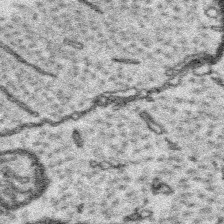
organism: Platynereis dumerilii